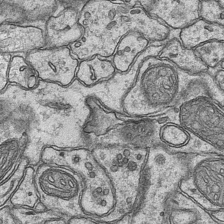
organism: Mouse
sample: CA1 Hippocampus